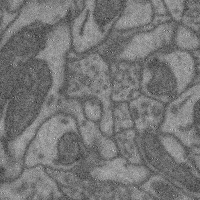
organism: Mouse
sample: Cerebral cortex